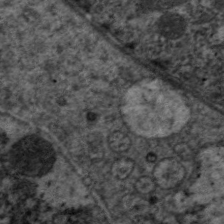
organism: C. elegans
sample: Pharynx